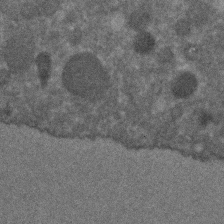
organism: C. elegans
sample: C. elegans embryo